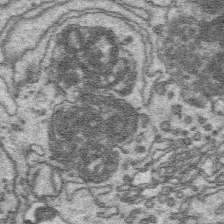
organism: Platynereis dumerilii